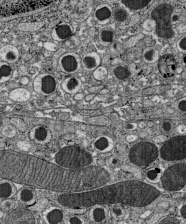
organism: C57BL Mouse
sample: Pancreatic islet